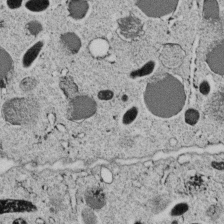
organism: C. elegans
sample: C. elegans embryo early stage